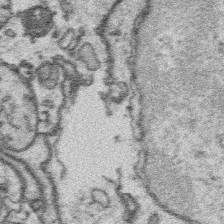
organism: Platynereis dumerilii